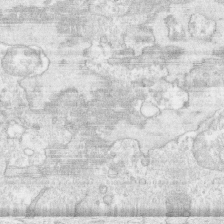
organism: Human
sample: CRL-1474